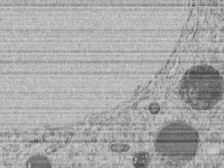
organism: C. elegans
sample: C. elegans embryo early stage